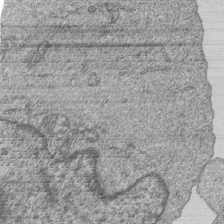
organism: Human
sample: MDA-MB-231 cells